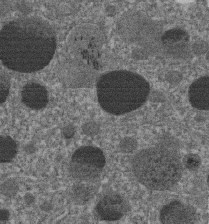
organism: C. elegans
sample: C. elegans embryo early stage